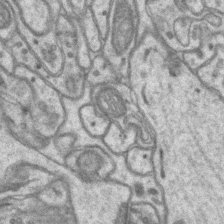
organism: Mouse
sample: CA1 Hippocampus